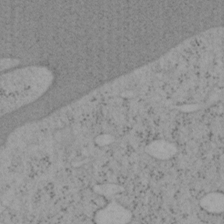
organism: Mouse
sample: OT-I killer T cells with ID8 ovarian cancer cells